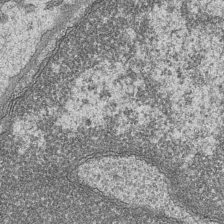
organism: Mouse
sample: CA1 Hippocampus